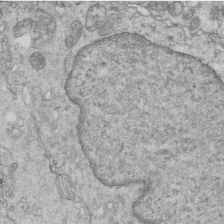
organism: Mouse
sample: Multiciliated cells